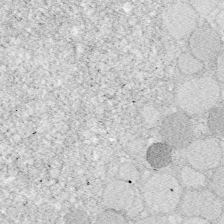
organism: Zebrafish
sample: Whole-Brain